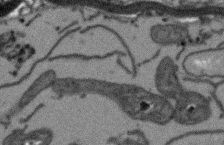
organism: Arabidopsis thaliana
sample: Root tip